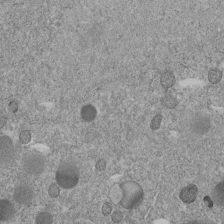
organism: C. elegans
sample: C. elegans embryo early stage